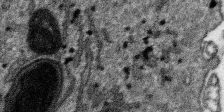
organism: Human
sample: Lung epithelial cells infected with SARS-CoV-2